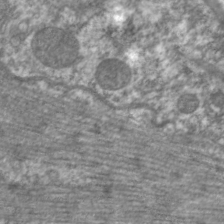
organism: C. elegans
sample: Pharynx